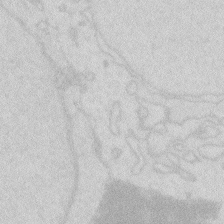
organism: Zebrafish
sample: Macrophage